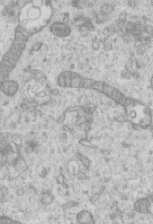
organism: Mouse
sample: Centriole in ependymal cells